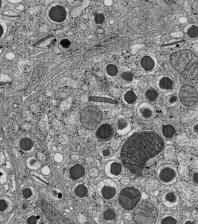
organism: C57BL Mouse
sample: Pancreatic islet